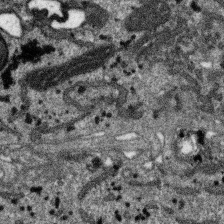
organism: Human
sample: Lung epithelial cells infected with SARS-CoV-2